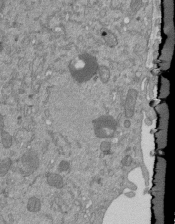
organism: Mouse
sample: ED-1 cell nuclei; centrioles